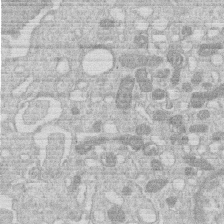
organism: Human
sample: Macrophage cells